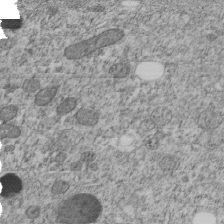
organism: C. elegans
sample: C. elegans embryo early stage